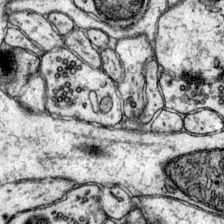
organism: Mouse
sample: Primary visual cortex